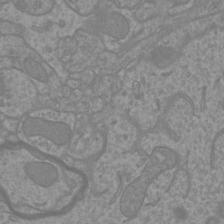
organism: Mouse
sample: Cortical neurons